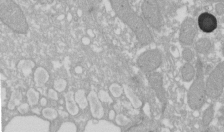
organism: Xenopus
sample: Cilia; centrioles in frog embryo cells